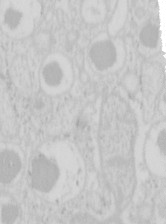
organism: Mouse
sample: Pancreas